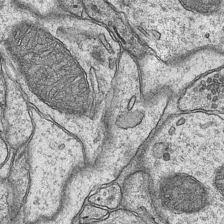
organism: Mouse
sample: CA1 Hippocampus